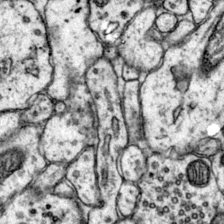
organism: Mouse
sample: Primary visual cortex